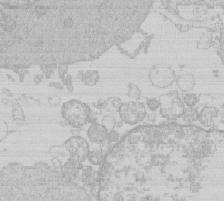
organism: Human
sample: Macrophage cells